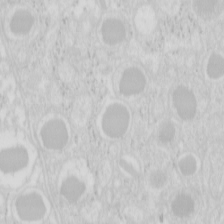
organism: Mouse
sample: Pancreas